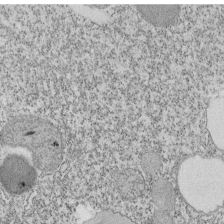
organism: Tetrahymena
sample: Cilia in tetrahymena